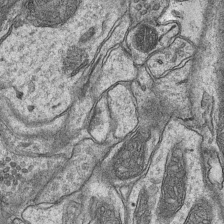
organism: Mouse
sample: CA1 Hippocampus